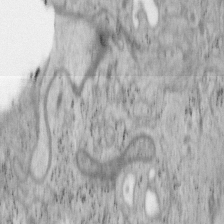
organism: Human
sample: HeLa cells